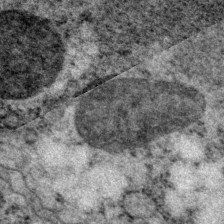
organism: P. pacificus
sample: Pharynx